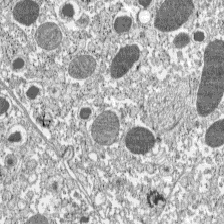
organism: C57BL Mouse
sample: Pancreatic islet